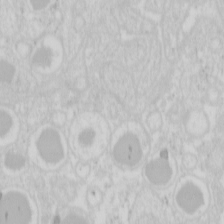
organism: Mouse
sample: Pancreas